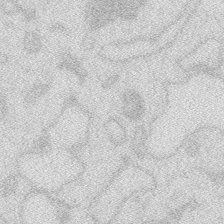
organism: Zebrafish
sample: Macrophage